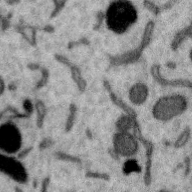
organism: Zebra finch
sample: Brain